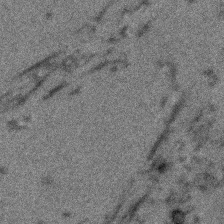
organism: Human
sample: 1205lu cells